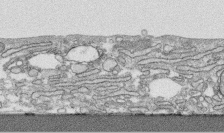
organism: Human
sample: CRL-1474